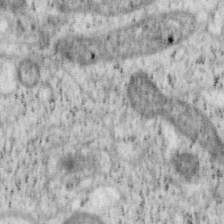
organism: Mouse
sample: OT-I killer T cells with ID8 ovarian cancer cells